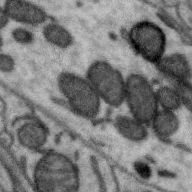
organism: Zebra finch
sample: Brain